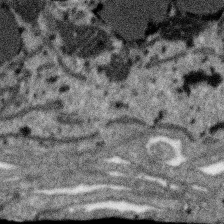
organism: Human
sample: Lung epithelial cells infected with SARS-CoV-2